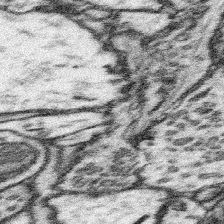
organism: Mouse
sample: Somatosensory cortex neuropil